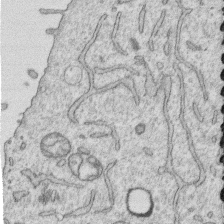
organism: Human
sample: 1205lu cells